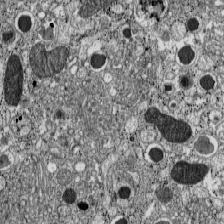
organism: C57BL Mouse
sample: Pancreatic islet